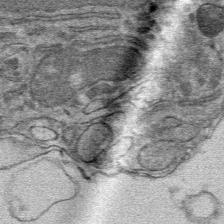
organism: Mouse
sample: Mouse hepatocytes